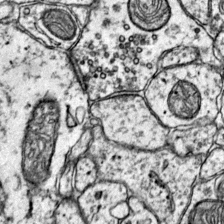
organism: Mouse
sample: Primary visual cortex